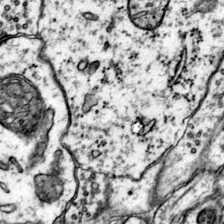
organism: Mouse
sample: Primary visual cortex